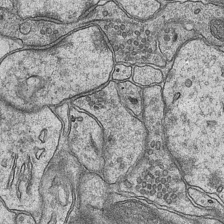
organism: Mouse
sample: CA1 Hippocampus